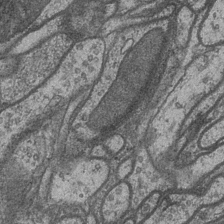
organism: Drosophila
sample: Optic medulla